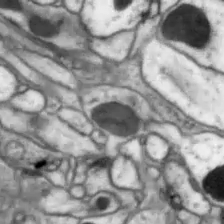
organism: Drosophila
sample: Optic lobe